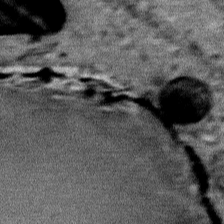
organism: Mouse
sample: Mouse Salivary gland